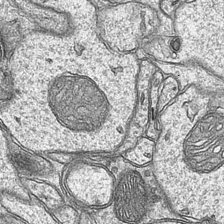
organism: Mouse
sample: CA1 Hippocampus